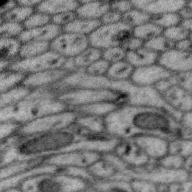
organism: Zebra finch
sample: Brain